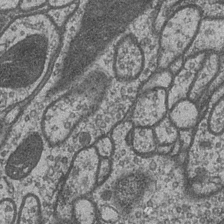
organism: Drosophila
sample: Optic medulla